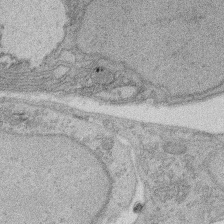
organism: Rat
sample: Salivary granule